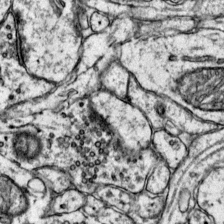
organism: Mouse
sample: Primary visual cortex